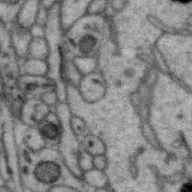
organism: Zebra finch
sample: Brain